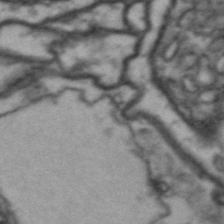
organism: Drosophila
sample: Brain